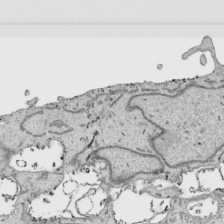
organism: Human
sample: Mitochondria in HCT116 cells